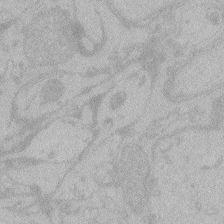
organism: Zebrafish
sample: Macrophage infected with Toxoplasma gondii